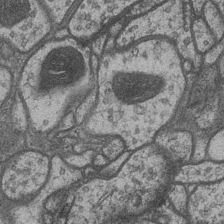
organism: Drosophila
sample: Optic medulla